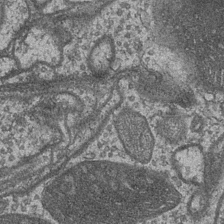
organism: Drosophila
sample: Optic medulla